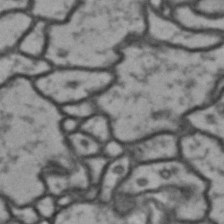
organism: Drosophila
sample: Brain